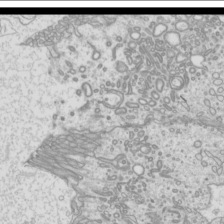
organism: Mouse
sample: Cilia; mouse epididymis